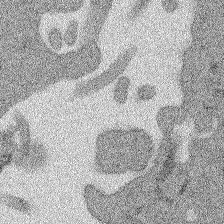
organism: Human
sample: HeLa cells